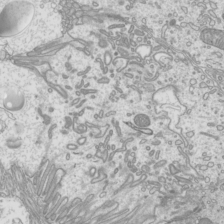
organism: Mouse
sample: Cilia; mouse epididymis